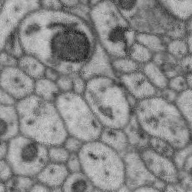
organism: Zebra finch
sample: Brain